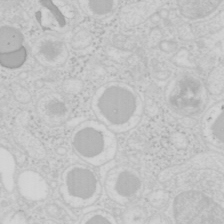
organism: Mouse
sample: Pancreas